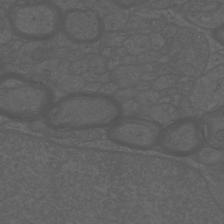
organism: Mouse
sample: Cortical neurons